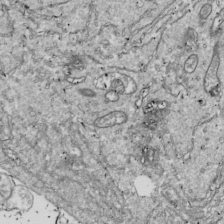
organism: Drosophila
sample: Cell division; meiosis; drosophila spermatocytes